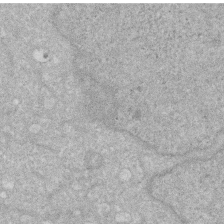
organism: Human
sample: HIV infected U937 cells